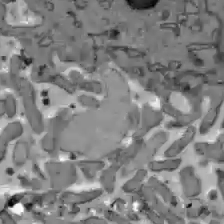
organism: C57BL Mouse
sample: Liver